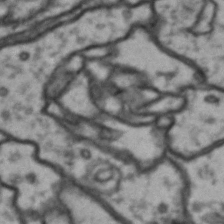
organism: Drosophila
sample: Brain